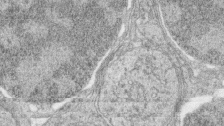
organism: Zebrafish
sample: synaptic ribbons in rod cells and cone cells